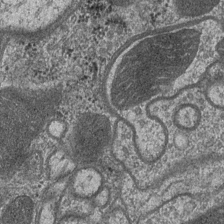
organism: Drosophila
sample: Optic medulla